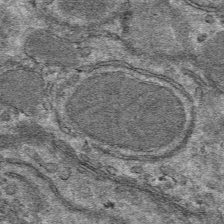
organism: Mouse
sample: Mouse hepatocytes